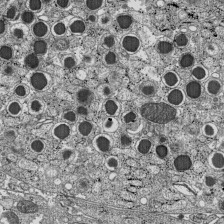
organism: C57BL Mouse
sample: Pancreatic islet